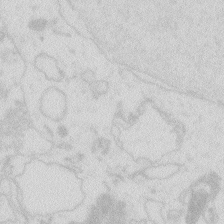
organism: Zebrafish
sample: Macrophage